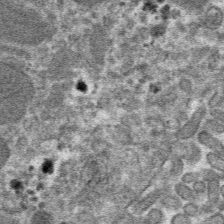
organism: Mouse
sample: Mouse hepatocytes